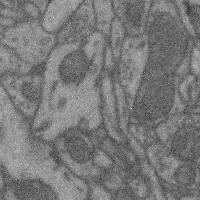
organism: Mouse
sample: Cerebral cortex